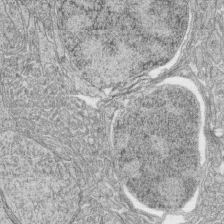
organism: Zebrafish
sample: synaptic ribbons in rod cells and cone cells